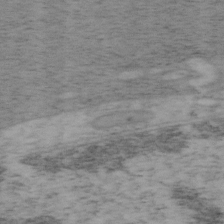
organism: Mouse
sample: OT-I killer T cells with ID8 ovarian cancer cells